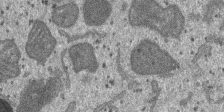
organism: Human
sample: Lung epithelial cells infected with SARS-CoV-2